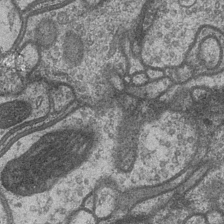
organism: Drosophila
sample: Optic medulla